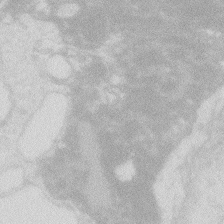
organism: Zebrafish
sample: Macrophage